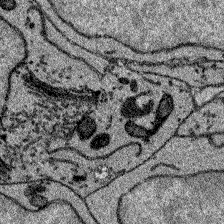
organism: Zebrafish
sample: Larval olfactory bulb